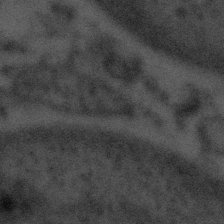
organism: Tuwongella immobilis